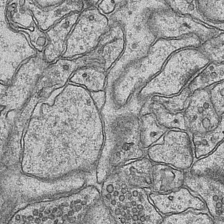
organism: Mouse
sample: CA1 Hippocampus